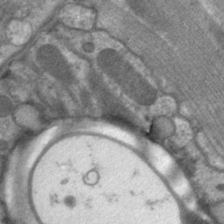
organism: C. elegans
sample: Pharynx